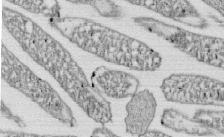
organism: E. coli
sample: Bacterial nucleoid